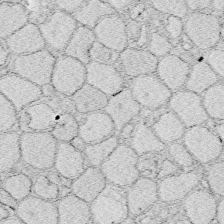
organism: Zebrafish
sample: Whole-Brain